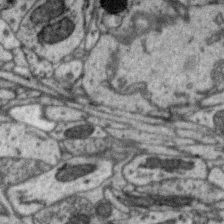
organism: Zebra finch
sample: Brain